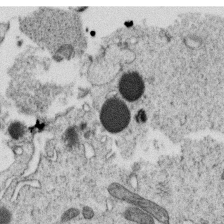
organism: C. elegans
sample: C. elegans oocyte; sperm cells